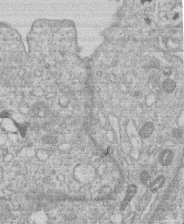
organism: Human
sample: Macrophage cells